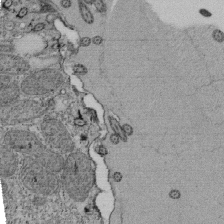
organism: Tetrahymena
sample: Cilia in tetrahymena